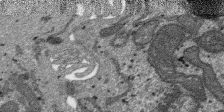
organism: Human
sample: Lung epithelial cells infected with SARS-CoV-2